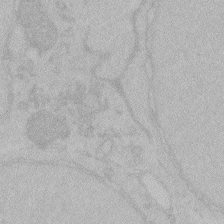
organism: Zebrafish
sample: Macrophage infected with Toxoplasma gondii